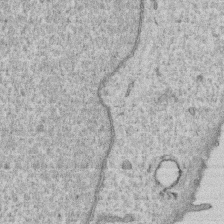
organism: Human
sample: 1205lu cells